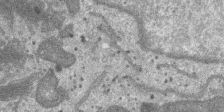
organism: Human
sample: Lung epithelial cells infected with SARS-CoV-2